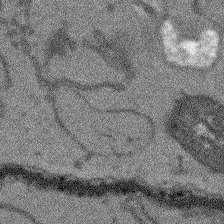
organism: Arabidopsis thaliana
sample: Root tip